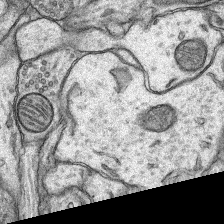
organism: Rat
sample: Hippocampus